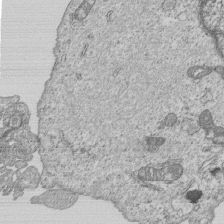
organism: Human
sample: MDA-MB-231 cells